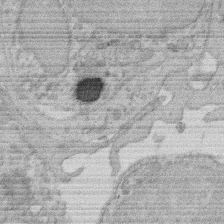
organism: Rat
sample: Salivary granule